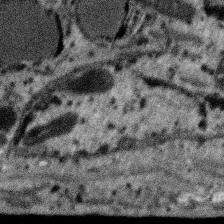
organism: Human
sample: Lung epithelial cells infected with SARS-CoV-2